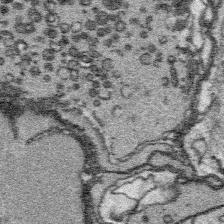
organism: Platynereis dumerilii